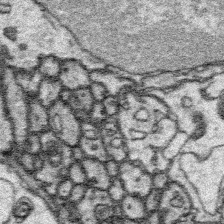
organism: Platynereis dumerilii